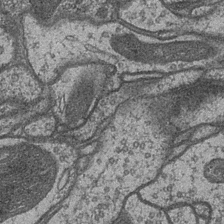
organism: Drosophila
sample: Optic medulla